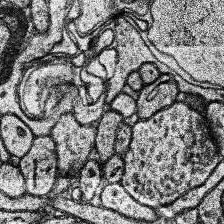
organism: Human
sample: Temporal Lobe